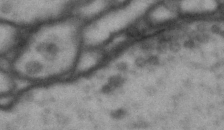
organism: Drosophila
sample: Brain